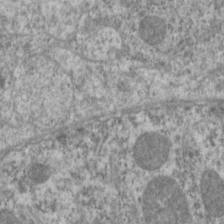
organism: C. elegans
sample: Pharynx